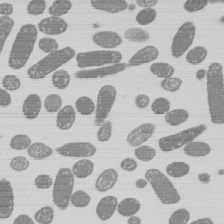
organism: E. coli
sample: Bacterial nucleoid